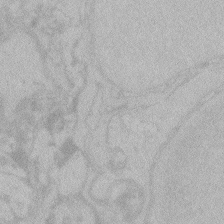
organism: Zebrafish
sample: Macrophage infected with Toxoplasma gondii